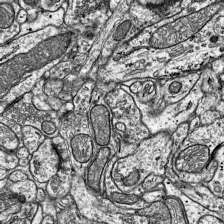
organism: Mouse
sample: Visual Cortex